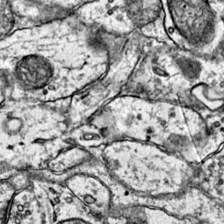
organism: Mouse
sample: Primary visual cortex